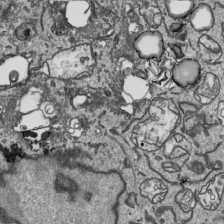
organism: Human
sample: Mitochondria in HCT116 cells